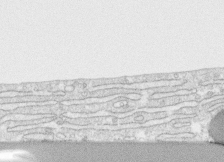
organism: Human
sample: CRL-1474